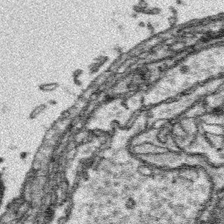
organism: Platynereis dumerilii